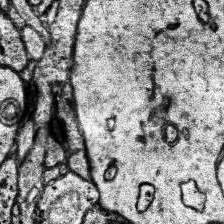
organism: Human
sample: Temporal Lobe